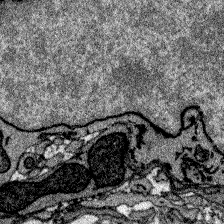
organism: Zebrafish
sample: Larval olfactory bulb